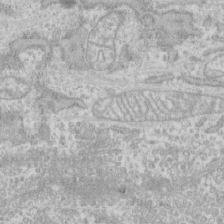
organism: Human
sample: CRL-1474